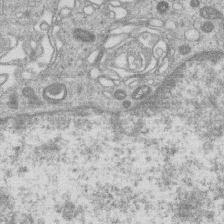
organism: Human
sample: Macrophage cells